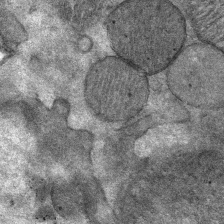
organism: Mouse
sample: Mouse Salivary gland